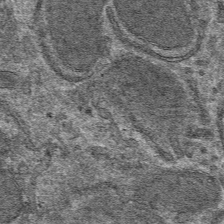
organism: Mouse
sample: Mouse hepatocytes